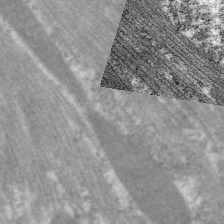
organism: C. elegans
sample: Pharynx